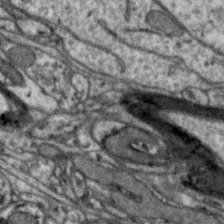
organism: Zebra finch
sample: Brain